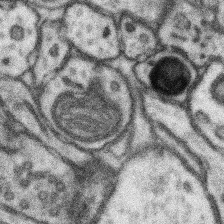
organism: Mouse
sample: Somatosensory cortex neuropil